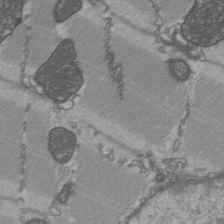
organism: C57BL Mouse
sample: Heart